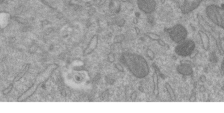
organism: Mouse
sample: ED-1 cell nuclei; centrioles